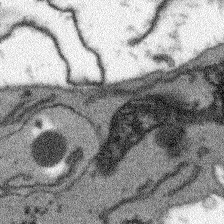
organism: Arabidopsis thaliana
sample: Root tip